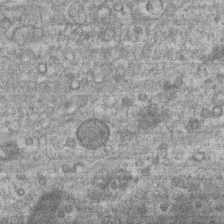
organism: Mouse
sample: T cell stromal cell synapse